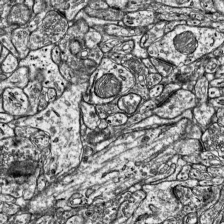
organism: Mouse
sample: Visual Cortex